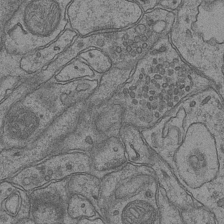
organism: Mouse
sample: CA1 Hippocampus